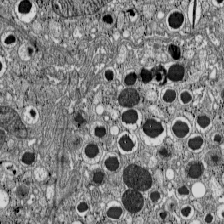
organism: C57BL Mouse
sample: Pancreatic islet